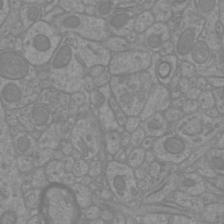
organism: Mouse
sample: Cortical neurons